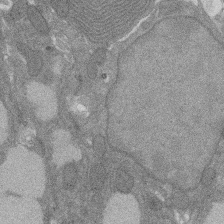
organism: Rat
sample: Salivary granule